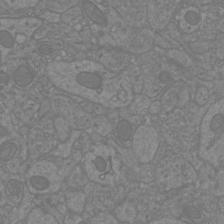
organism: Mouse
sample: Cortical neurons